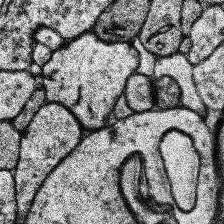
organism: Human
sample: Temporal Lobe